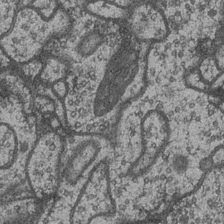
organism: Drosophila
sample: Optic medulla